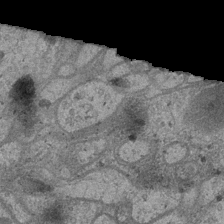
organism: Drosophila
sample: Optic medulla